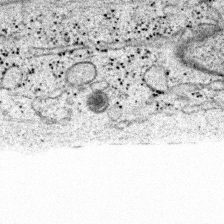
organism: Human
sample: HeLa cells